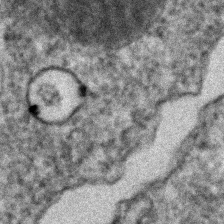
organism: C. elegans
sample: C. elegans embryo